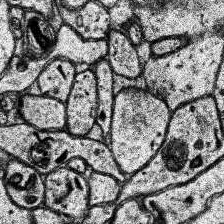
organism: Human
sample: Temporal Lobe